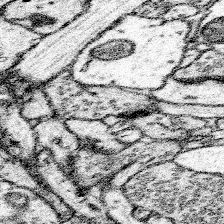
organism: Mouse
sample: Somatosensory cortex neuropil